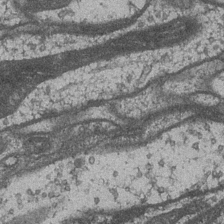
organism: Drosophila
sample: Optic medulla